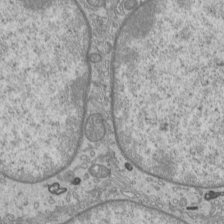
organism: Mouse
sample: Cilia; mouse epididymis